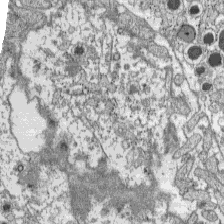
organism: C57BL Mouse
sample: Pancreatic islet